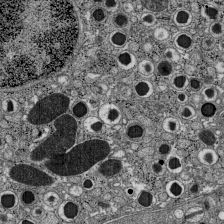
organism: C57BL Mouse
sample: Pancreatic islet